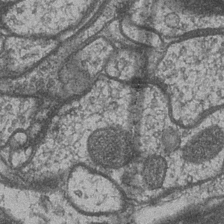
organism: Drosophila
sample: Optic medulla